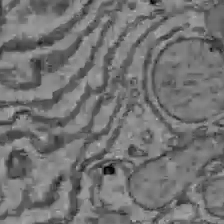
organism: C57BL Mouse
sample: Liver